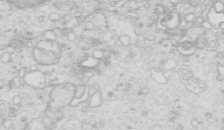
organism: Mouse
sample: Multiciliated cells